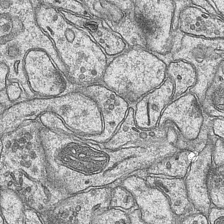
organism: Mouse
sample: CA1 Hippocampus